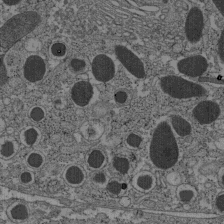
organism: C57BL Mouse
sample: Pancreatic islet